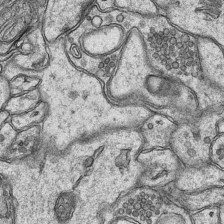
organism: Mouse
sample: CA1 Hippocampus